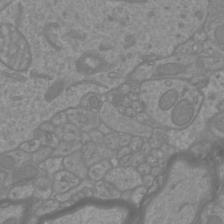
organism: Mouse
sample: Cortical neurons